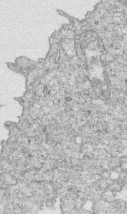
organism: Human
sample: HeLa cell HIV synapse